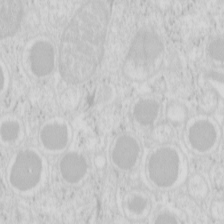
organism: Mouse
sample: Pancreas